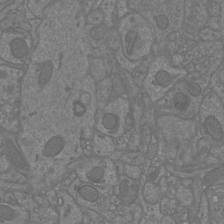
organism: Mouse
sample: Cortical neurons